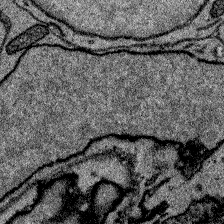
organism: Zebrafish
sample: Larval olfactory bulb